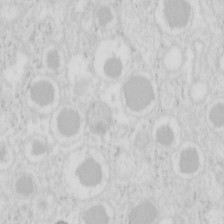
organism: Mouse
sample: Pancreas